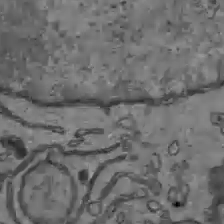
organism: C57BL Mouse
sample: Liver